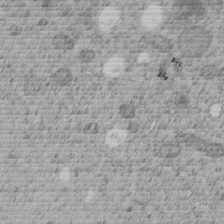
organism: C. elegans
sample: C. elegans embryo early stage